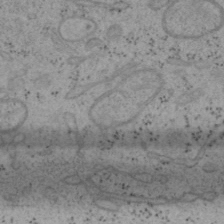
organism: Human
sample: HeLa cells